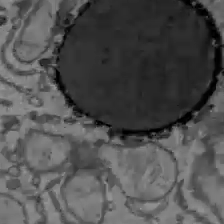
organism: C57BL Mouse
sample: Liver